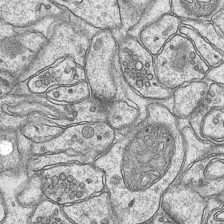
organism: Mouse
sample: CA1 Hippocampus